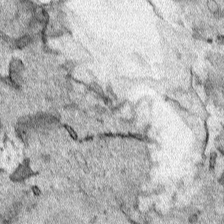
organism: Human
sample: Mitochondria in HCT116 cells